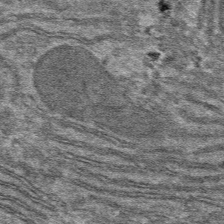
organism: Mouse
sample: Mouse hepatocytes